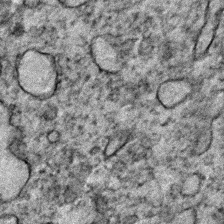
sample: Trachea